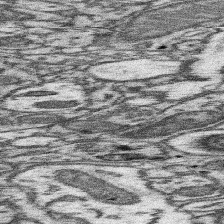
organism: Mouse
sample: Somatosensory cortex neuropil